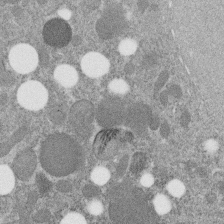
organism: C. elegans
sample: C. elegans embryo early stage